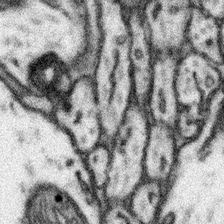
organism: Mouse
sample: Somatosensory cortex neuropil